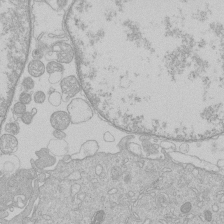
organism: Human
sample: Macrophage cells